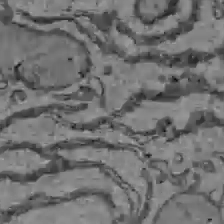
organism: C57BL Mouse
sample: Liver